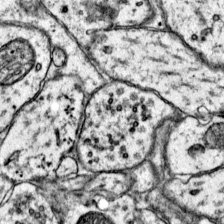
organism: Mouse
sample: Primary visual cortex